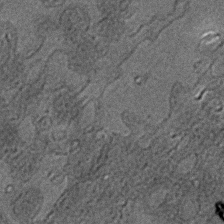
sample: Trachea